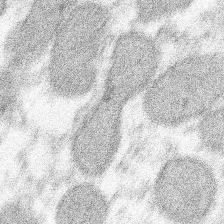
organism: Xenopus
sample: Cilia; centrioles in frog embryo cells